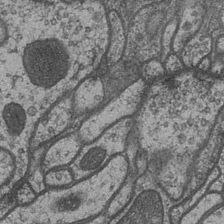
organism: Drosophila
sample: Optic medulla